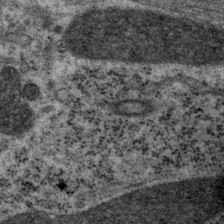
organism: P. pacificus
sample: Pharynx